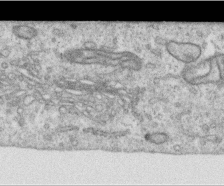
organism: Human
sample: Centriole in RPE cells